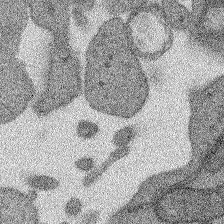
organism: Human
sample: HeLa cells